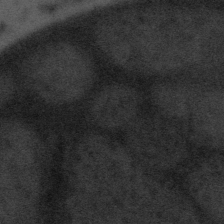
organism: Tuwongella immobilis